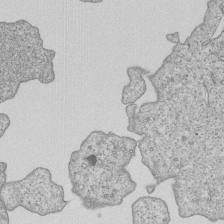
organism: Human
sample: MDA-MB-231 cells